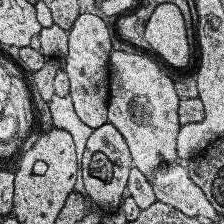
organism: Human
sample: Temporal Lobe